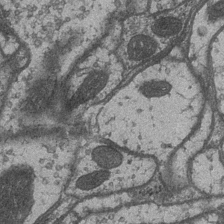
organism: Drosophila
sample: Optic medulla